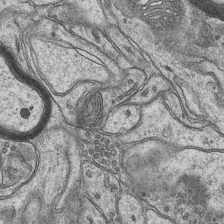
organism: Mouse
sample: CA1 Hippocampus